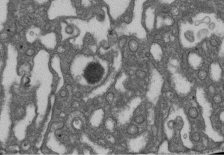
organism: Drosophila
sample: Nephrocyte